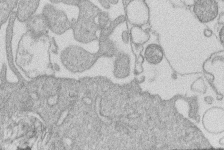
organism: Human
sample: Macrophage cells